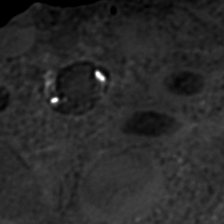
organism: C. elegans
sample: C. elegans embryo